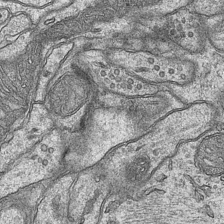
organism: Mouse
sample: CA1 Hippocampus